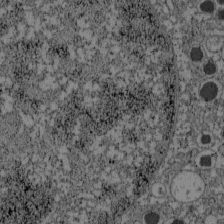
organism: C57BL Mouse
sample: Pancreatic islet